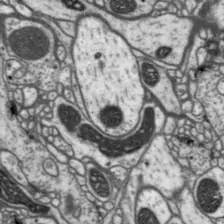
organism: Drosophila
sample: Protocerebral bridge